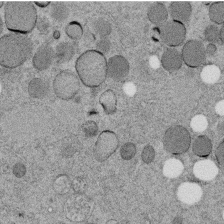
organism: C. elegans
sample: C. elegans embryo early stage